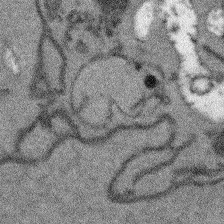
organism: Arabidopsis thaliana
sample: Root tip